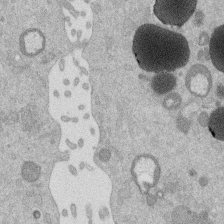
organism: Mouse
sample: Dividing mouse embryo 1 cell stage